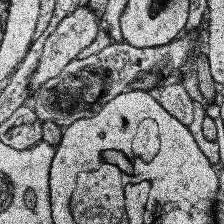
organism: Human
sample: Temporal Lobe